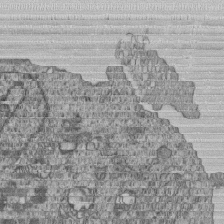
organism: Human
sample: MDA-MB-231 cells